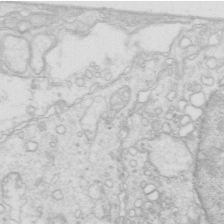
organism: Mouse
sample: Multiciliated cells